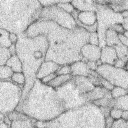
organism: Rabbit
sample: Retina